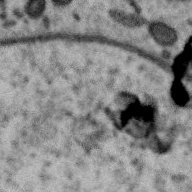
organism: Zebra finch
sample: Brain